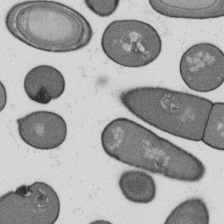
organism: B. subtilis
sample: Bacterial spore